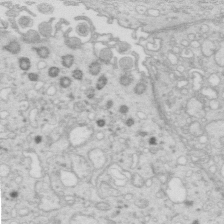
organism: Mouse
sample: Multiciliated cells